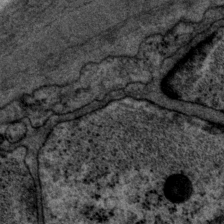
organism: P. pacificus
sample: Pharynx